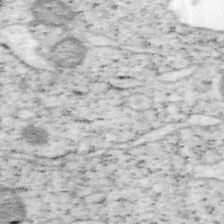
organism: Mouse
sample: OT-I killer T cells with ID8 ovarian cancer cells